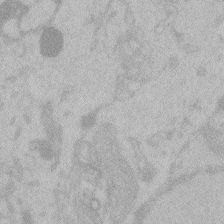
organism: Zebrafish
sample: Macrophage infected with Toxoplasma gondii